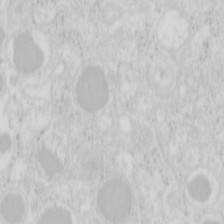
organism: Mouse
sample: Pancreas